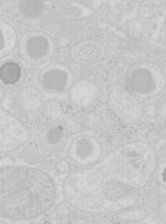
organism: Mouse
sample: Pancreas